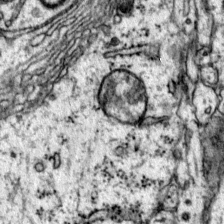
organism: Mouse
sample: Primary visual cortex